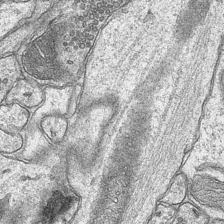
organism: Mouse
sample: CA1 Hippocampus